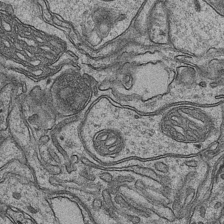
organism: Mouse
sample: CA1 Hippocampus